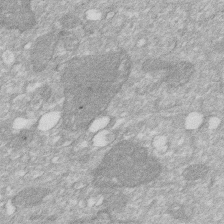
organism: Human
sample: HIV infected U937 cells